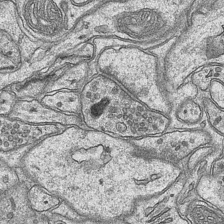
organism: Mouse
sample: CA1 Hippocampus